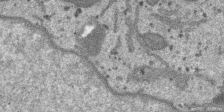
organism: Human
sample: Lung epithelial cells infected with SARS-CoV-2